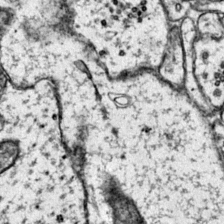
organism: Mouse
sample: Primary visual cortex